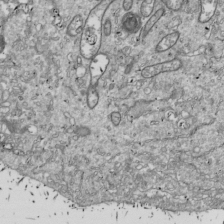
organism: Drosophila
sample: Cell division; meiosis; drosophila spermatocytes